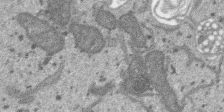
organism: Human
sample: Lung epithelial cells infected with SARS-CoV-2